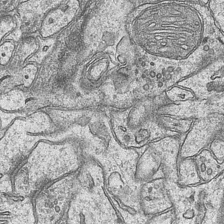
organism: Mouse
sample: CA1 Hippocampus